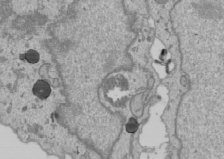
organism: Human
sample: Mitochondria in U2OS cells